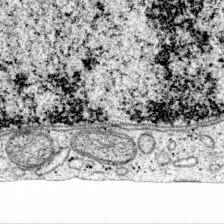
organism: Human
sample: HeLa cells